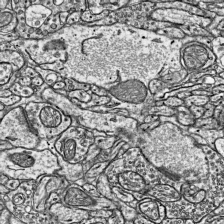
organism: Mouse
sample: Visual Cortex